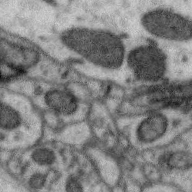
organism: Zebra finch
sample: Brain